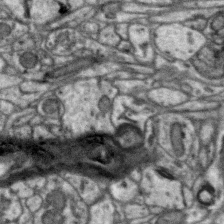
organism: Zebra finch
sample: Brain